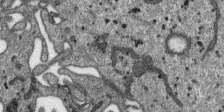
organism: Human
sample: Lung epithelial cells infected with SARS-CoV-2